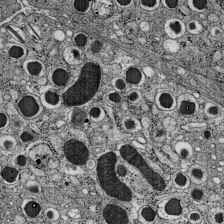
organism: C57BL Mouse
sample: Pancreatic islet